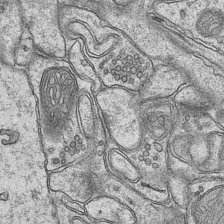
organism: Mouse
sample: CA1 Hippocampus